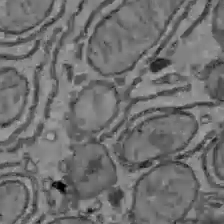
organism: C57BL Mouse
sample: Liver